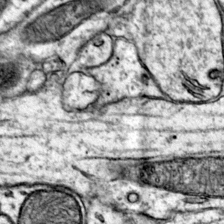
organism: Mouse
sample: Primary visual cortex